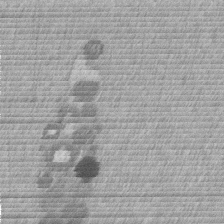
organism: Mouse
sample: Dividing mouse embryo 1 cell stage